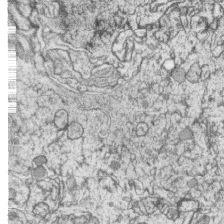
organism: Zebrafish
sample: synaptic ribbons in rod cells and cone cells